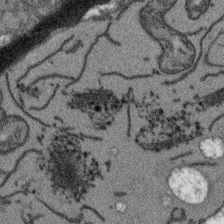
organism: Arabidopsis thaliana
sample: Root tip